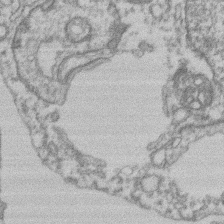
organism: Mouse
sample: T cell stromal cell synapse